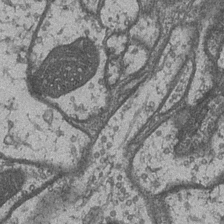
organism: Drosophila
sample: Optic medulla